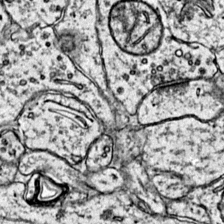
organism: Mouse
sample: Primary visual cortex